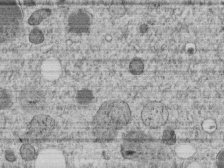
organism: C. elegans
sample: C. elegans embryo early stage